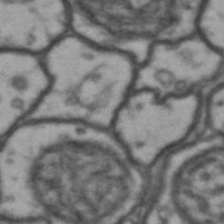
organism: Drosophila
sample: Brain